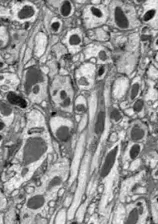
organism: Drosophila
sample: Optic lobe